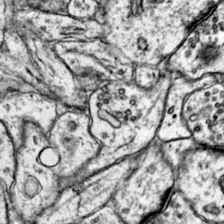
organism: Mouse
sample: Primary visual cortex